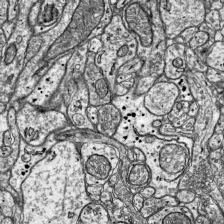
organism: Mouse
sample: Visual Cortex